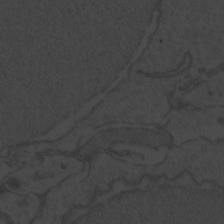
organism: Zebrafish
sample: Macrophage infected with Toxoplasma gondii